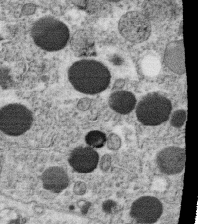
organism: C. elegans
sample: C. elegans oocyte; sperm cells